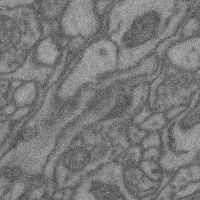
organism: Mouse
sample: Cerebral cortex